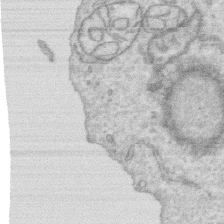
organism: Human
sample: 1205lu cells